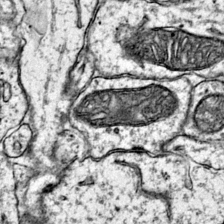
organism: Mouse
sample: Primary visual cortex